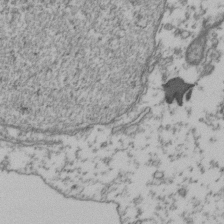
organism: Human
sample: Activated Jurkat CD4+ T cells